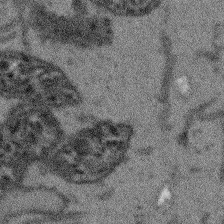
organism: Arabidopsis thaliana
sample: Root tip